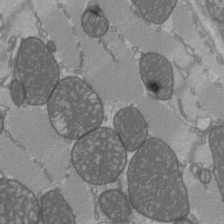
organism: C57BL Mouse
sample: Heart